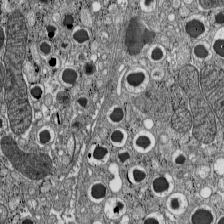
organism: C57BL Mouse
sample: Pancreatic islet